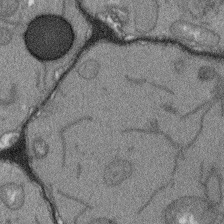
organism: Arabidopsis thaliana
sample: Root tip